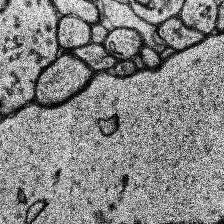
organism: Human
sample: Temporal Lobe